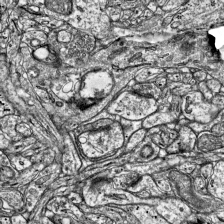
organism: Mouse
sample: Visual Cortex